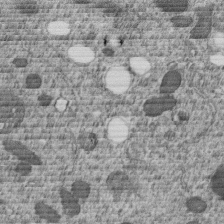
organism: C. elegans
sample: C. elegans embryo early stage